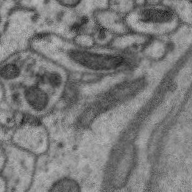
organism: Zebra finch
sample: Brain